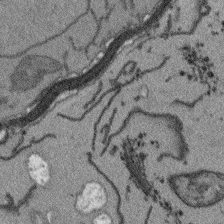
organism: Arabidopsis thaliana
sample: Root tip